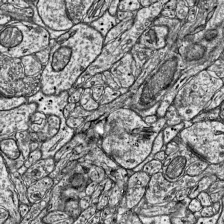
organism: Mouse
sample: Visual Cortex